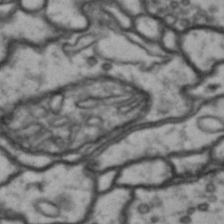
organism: Drosophila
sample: Brain